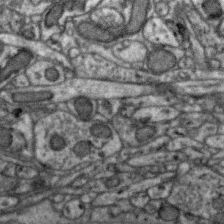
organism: Zebra finch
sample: Brain